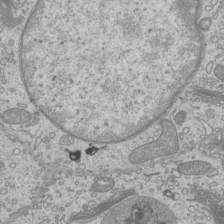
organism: Mouse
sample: Cilia; mouse epididymis